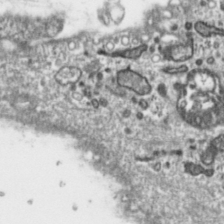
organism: Toxoplasma gondii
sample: Parasites in a vacuole inside a host cell